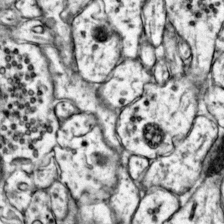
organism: Mouse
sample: Primary visual cortex